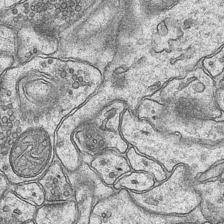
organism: Mouse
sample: CA1 Hippocampus